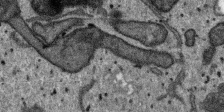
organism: Human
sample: Lung epithelial cells, uninfected (mock) control